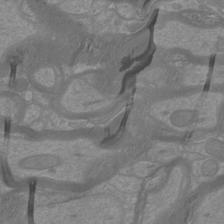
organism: Mouse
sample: Cortical neurons